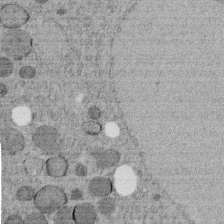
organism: C. elegans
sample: C. elegans embryo early stage